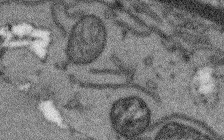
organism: Arabidopsis thaliana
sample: Root tip